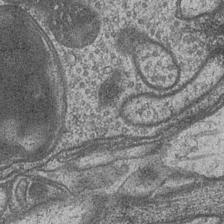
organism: Drosophila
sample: Optic medulla